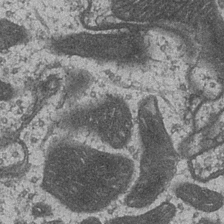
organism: Drosophila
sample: Optic medulla